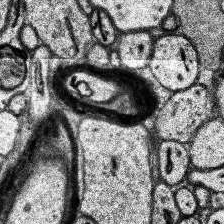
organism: Human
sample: Temporal Lobe